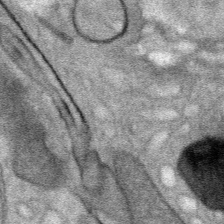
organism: Mouse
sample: Mouse Salivary gland